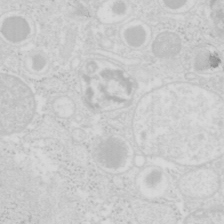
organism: Mouse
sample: Pancreas